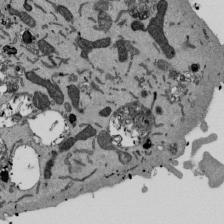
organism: Mouse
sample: ED-1 cell nuclei; centrioles